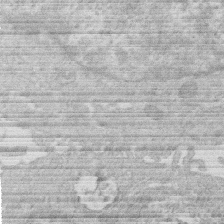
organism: Human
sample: Macrophage cells